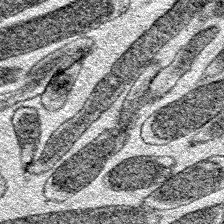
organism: E. coli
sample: E. Coli Bacteria